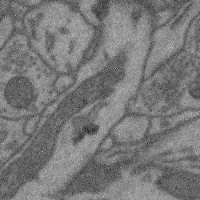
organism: Mouse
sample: Cerebral cortex